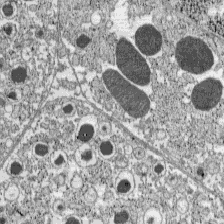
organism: C57BL Mouse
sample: Pancreatic islet